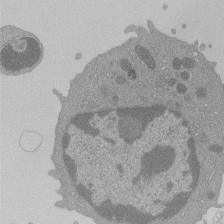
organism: Mouse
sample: Activated Pmel transgenic CD8+ T Cells